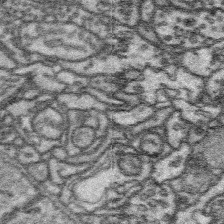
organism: Platynereis dumerilii